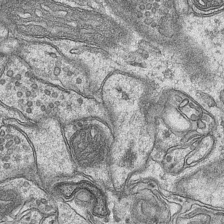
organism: Mouse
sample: CA1 Hippocampus